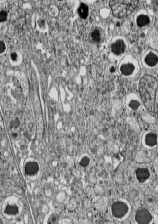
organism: C57BL Mouse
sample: Pancreatic islet